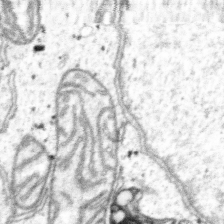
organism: Human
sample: HeLa cells